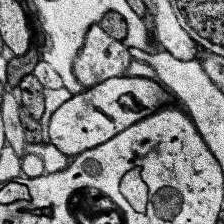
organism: Human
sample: Temporal Lobe